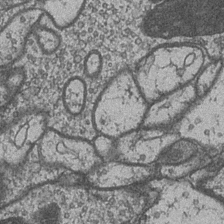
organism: Drosophila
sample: Optic medulla